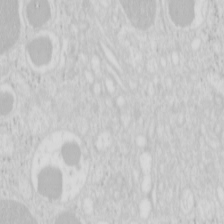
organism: Mouse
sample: Pancreas